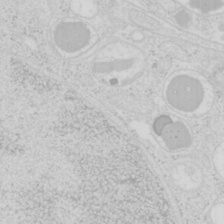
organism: Mouse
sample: Pancreas